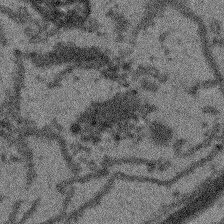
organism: Arabidopsis thaliana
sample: Root tip